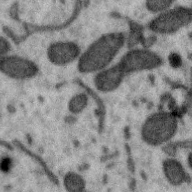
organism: Zebra finch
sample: Brain